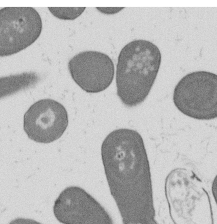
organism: B. subtilis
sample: Bacterial spore